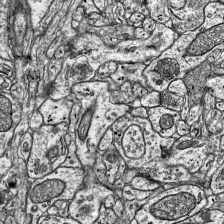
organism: Mouse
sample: Visual Cortex